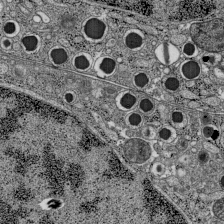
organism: C57BL Mouse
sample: Pancreatic islet